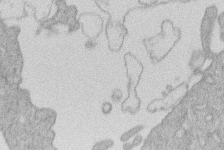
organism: Human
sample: Macrophage cells